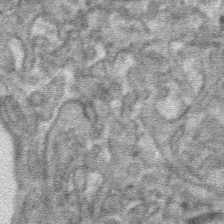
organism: Mouse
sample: Mouse hepatocytes